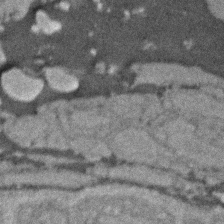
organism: Zebrafish